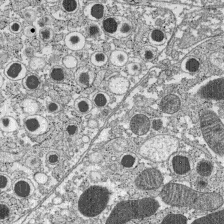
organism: C57BL Mouse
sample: Pancreatic islet